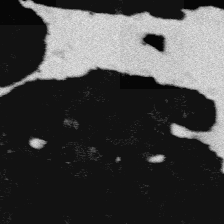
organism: Platynereis dumerilii